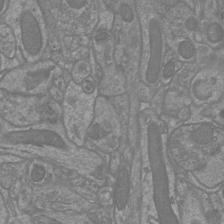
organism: Mouse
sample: Cortical neurons